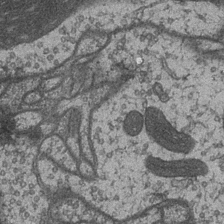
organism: Drosophila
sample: Optic medulla